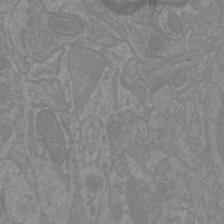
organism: Mouse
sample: Cortical neurons